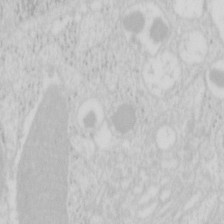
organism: Mouse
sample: Pancreas